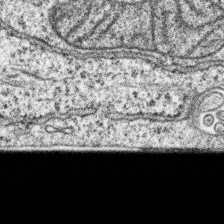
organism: Human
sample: HeLa cells